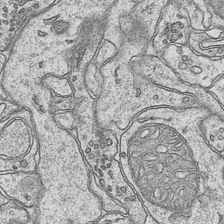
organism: Mouse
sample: CA1 Hippocampus